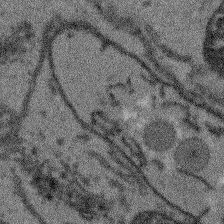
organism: Arabidopsis thaliana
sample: Root tip